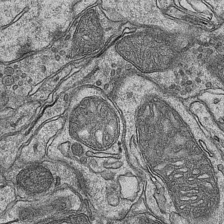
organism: Mouse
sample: CA1 Hippocampus